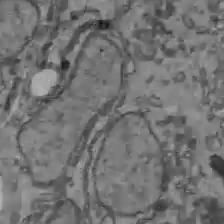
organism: C57BL Mouse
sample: Liver